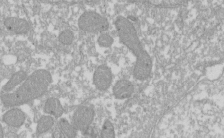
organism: Xenopus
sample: Cilia; centrioles in frog embryo cells